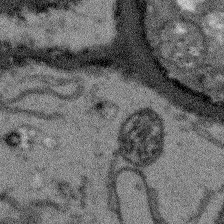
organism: Arabidopsis thaliana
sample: Root tip